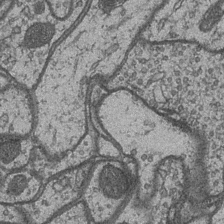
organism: Drosophila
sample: Optic medulla